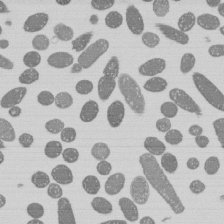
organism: E. coli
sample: Bacterial nucleoid